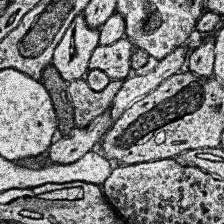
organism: Human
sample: Temporal Lobe